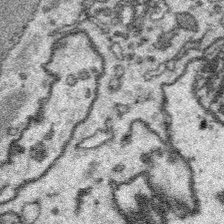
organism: Platynereis dumerilii